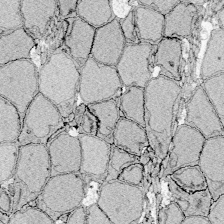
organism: Zebrafish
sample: Whole-Brain